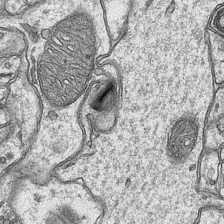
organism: Mouse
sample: CA1 Hippocampus